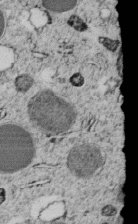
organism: C. elegans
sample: C. elegans embryo early stage